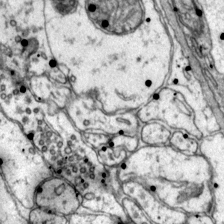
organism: Mouse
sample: Primary visual cortex